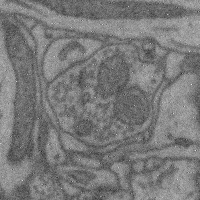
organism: Mouse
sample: Cerebral cortex